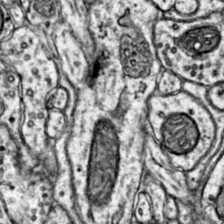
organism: Mouse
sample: Primary visual cortex